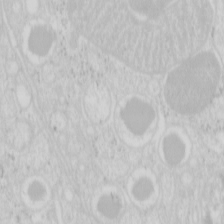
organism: Mouse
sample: Pancreas